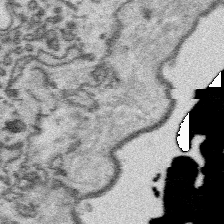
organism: Platynereis dumerilii